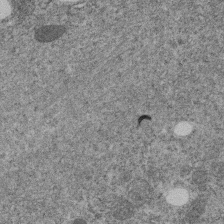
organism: C. elegans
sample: C. elegans embryo early stage